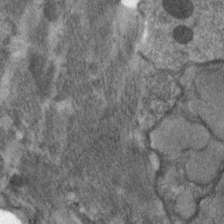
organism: C. elegans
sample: Pharynx